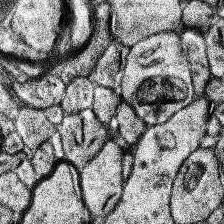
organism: Human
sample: Temporal Lobe